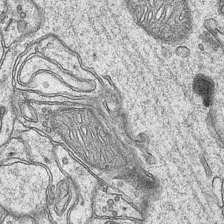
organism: Mouse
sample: CA1 Hippocampus